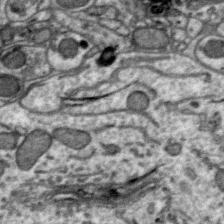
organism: Zebra finch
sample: Brain